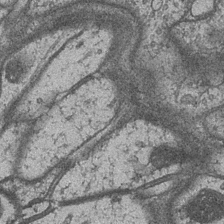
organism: Drosophila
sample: Optic medulla